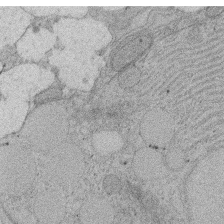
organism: Rat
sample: Salivary granule